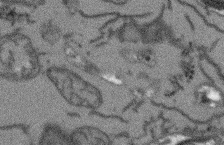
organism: Arabidopsis thaliana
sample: Root tip